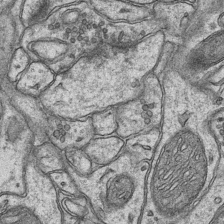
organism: Mouse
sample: CA1 Hippocampus